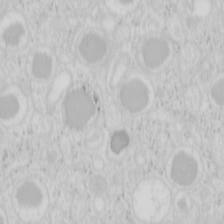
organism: Mouse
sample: Pancreas